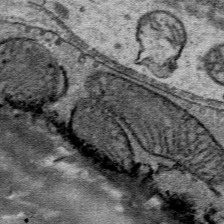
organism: Mouse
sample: Mouse Salivary gland